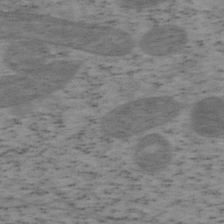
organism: Mouse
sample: OT-I killer T cells with ID8 ovarian cancer cells